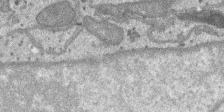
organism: Human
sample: Lung epithelial cells infected with SARS-CoV-2